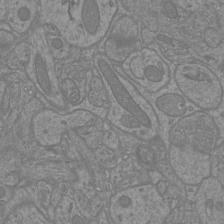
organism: Mouse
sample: Cortical neurons